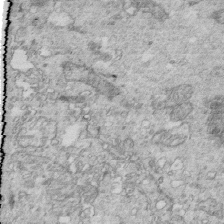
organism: Mouse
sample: Multiciliated cells